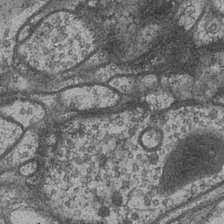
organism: Drosophila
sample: Optic medulla